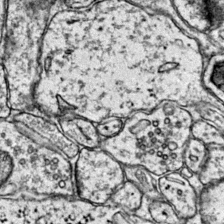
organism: Mouse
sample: Primary visual cortex